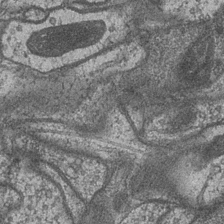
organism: Drosophila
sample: Optic medulla